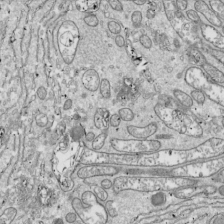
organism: Drosophila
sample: Cell division; meiosis; drosophila spermatocytes